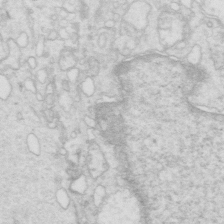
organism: Mouse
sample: Multiciliated cells